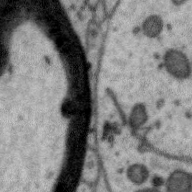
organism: Zebra finch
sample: Brain